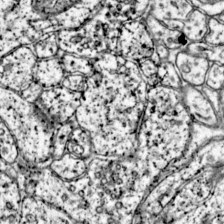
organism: Mouse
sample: Primary visual cortex